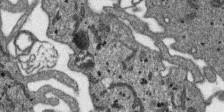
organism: Human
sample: Lung epithelial cells infected with SARS-CoV-2